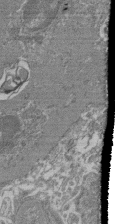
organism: Mouse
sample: Glomerulus